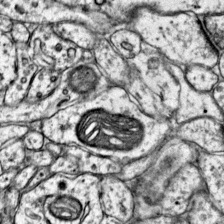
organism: Mouse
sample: Primary visual cortex